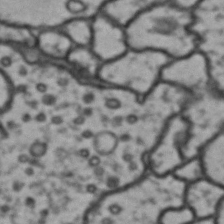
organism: Drosophila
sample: Brain